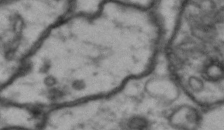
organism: Drosophila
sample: Brain